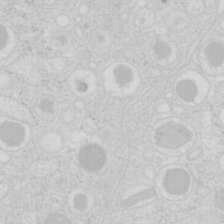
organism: Mouse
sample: Pancreas